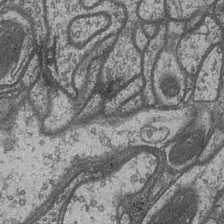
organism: Drosophila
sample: Optic medulla